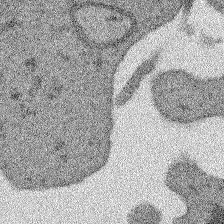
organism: Human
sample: HeLa cells